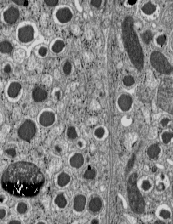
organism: C57BL Mouse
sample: Pancreatic islet